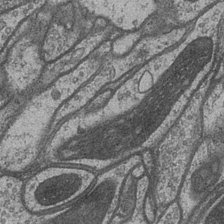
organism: Drosophila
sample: Optic medulla